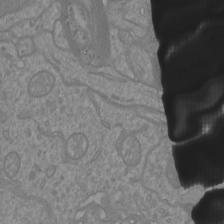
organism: Mouse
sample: Cortical neurons